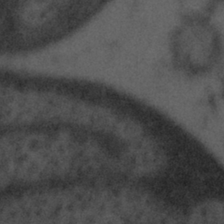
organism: Tuwongella immobilis